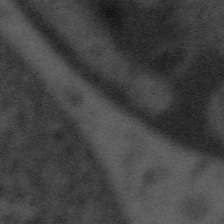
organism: Tuwongella immobilis